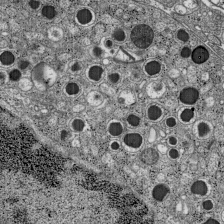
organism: C57BL Mouse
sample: Pancreatic islet